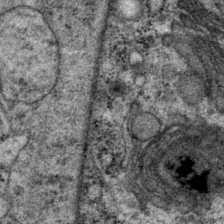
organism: P. pacificus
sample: Pharynx